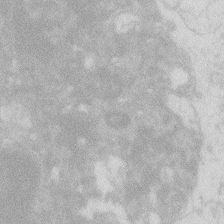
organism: Zebrafish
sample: Macrophage